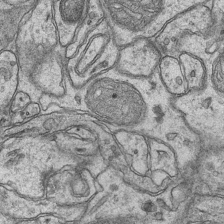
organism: Mouse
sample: CA1 Hippocampus